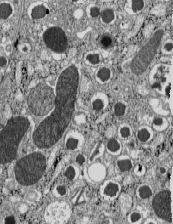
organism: C57BL Mouse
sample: Pancreatic islet